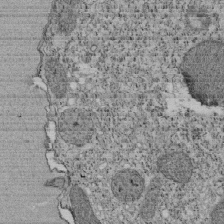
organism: Tetrahymena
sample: Cilia in tetrahymena